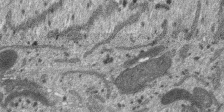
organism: Human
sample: Lung epithelial cells infected with SARS-CoV-2